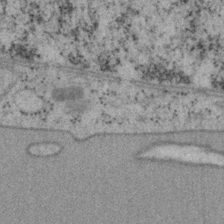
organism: Human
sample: HeLa cells